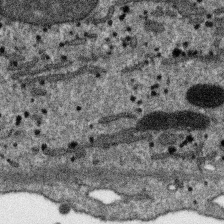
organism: Human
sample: Lung epithelial cells infected with SARS-CoV-2